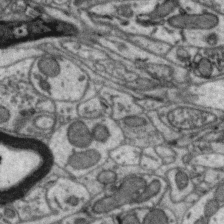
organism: Zebra finch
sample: Brain